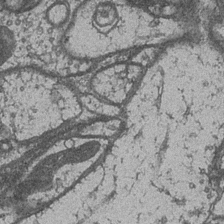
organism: Drosophila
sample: Optic medulla